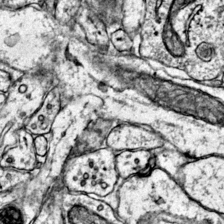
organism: Mouse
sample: Primary visual cortex